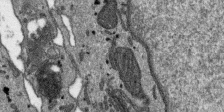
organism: Human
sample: Lung epithelial cells, uninfected (mock) control